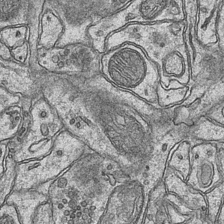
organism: Mouse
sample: CA1 Hippocampus